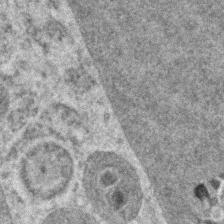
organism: Zebrafish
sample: Zebrafish embryo